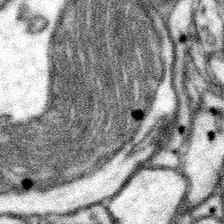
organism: Mouse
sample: Somatosensory cortex neuropil